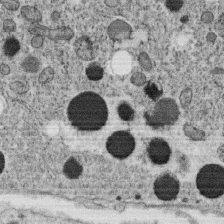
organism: C. elegans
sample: C. elegans oocyte; sperm cells